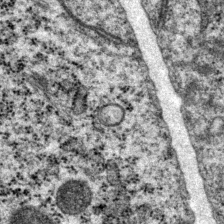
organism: P. pacificus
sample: Pharynx